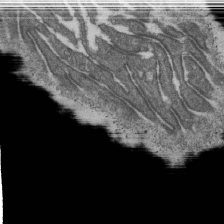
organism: Drosophila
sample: Nephrocyte